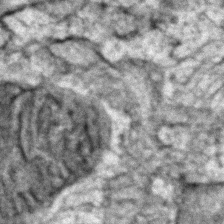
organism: Zebrafish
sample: Zebrafish embryo